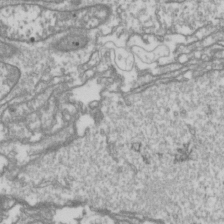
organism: Drosophila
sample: Cell division; meiosis; drosophila spermatocytes